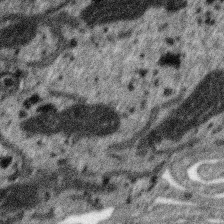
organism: Human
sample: Lung epithelial cells infected with SARS-CoV-2